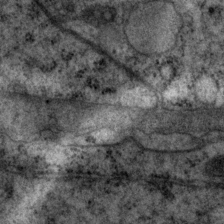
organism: P. pacificus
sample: Pharynx